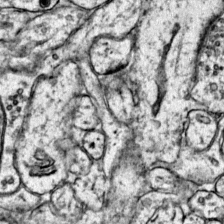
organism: Mouse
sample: Primary visual cortex